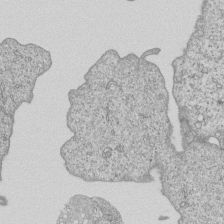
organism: Human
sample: MDA-MB-231 cells